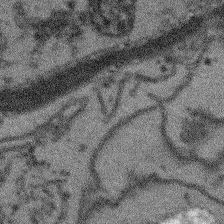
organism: Arabidopsis thaliana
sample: Root tip